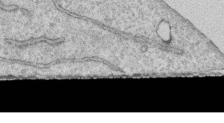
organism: Human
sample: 1205lu cells